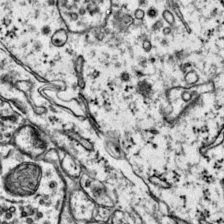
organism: Mouse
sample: Primary visual cortex